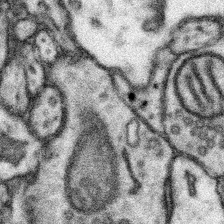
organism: Mouse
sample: Somatosensory cortex neuropil